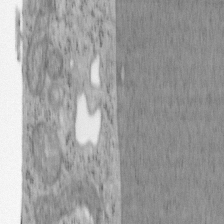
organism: Human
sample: HeLa cells